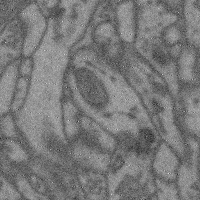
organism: Mouse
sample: Cerebral cortex